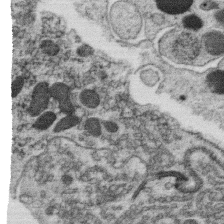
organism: C. elegans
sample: C. elegans oocyte; sperm cells